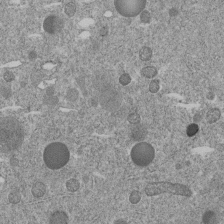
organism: C. elegans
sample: C. elegans embryo early stage